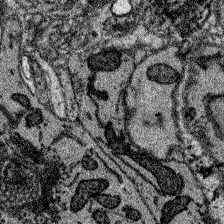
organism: Zebrafish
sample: Larval olfactory bulb